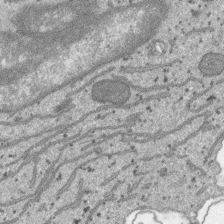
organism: Human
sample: Lung epithelial cells infected with SARS-CoV-2